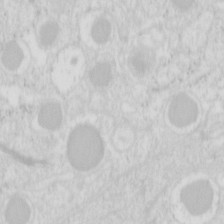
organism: Mouse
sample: Pancreas